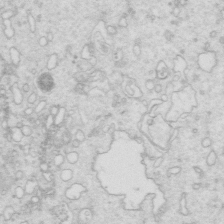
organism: Mouse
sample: Multiciliated cells